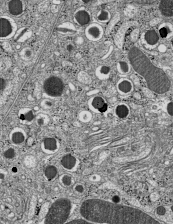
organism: C57BL Mouse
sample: Pancreatic islet